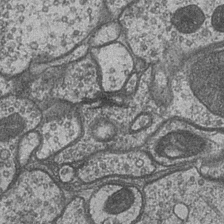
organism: Drosophila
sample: Optic medulla